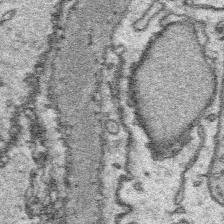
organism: Platynereis dumerilii